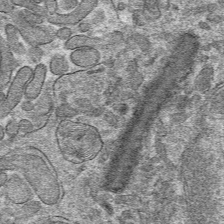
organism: Mouse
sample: Mouse hepatocytes